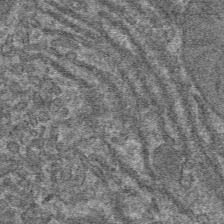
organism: Mouse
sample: Mouse hepatocytes